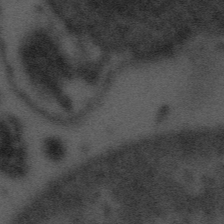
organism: Tuwongella immobilis